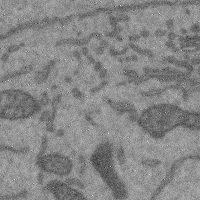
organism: Mouse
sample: Cerebral cortex